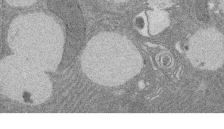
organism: Rat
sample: Salivary granule